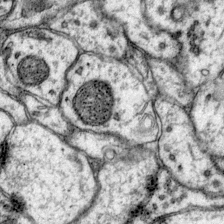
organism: Mouse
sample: Primary visual cortex